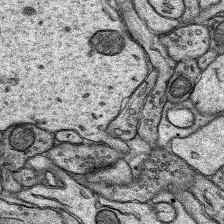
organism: Rat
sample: Hippocampus